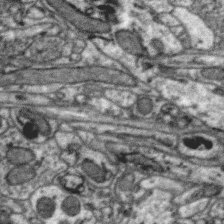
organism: Zebra finch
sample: Brain